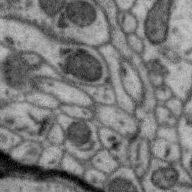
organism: Zebra finch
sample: Brain